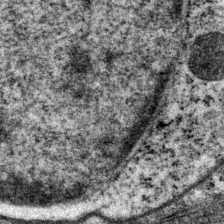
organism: P. pacificus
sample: Pharynx